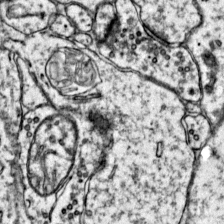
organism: Mouse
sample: Primary visual cortex